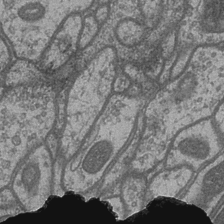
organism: Drosophila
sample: Optic medulla